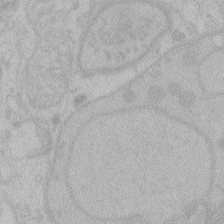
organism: Zebrafish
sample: Macrophage infected with Toxoplasma gondii